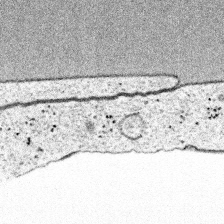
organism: Human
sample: HeLa cells